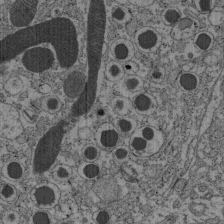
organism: C57BL Mouse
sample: Pancreatic islet